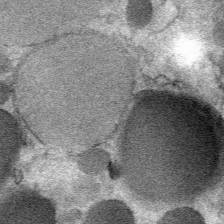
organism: Mouse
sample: Mouse Salivary gland